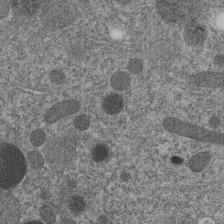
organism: C. elegans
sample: C. elegans embryo early stage